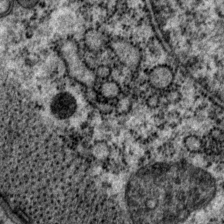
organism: P. pacificus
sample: Pharynx